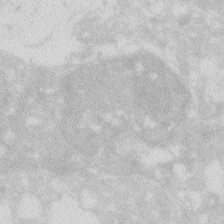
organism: Zebrafish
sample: Macrophage